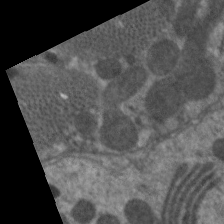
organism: C. elegans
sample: Pharynx